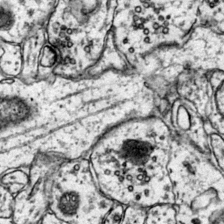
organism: Mouse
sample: Primary visual cortex